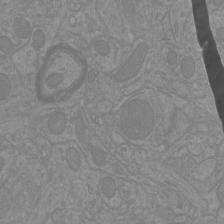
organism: Mouse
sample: Cortical neurons